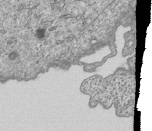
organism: Human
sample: MDA-MB-231 cells